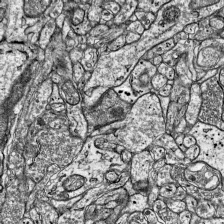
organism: Mouse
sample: Visual Cortex